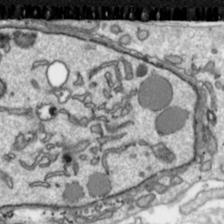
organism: Toxoplasma gondii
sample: Parasites in a vacuole inside a host cell